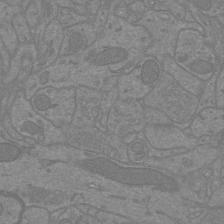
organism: Mouse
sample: Cortical neurons